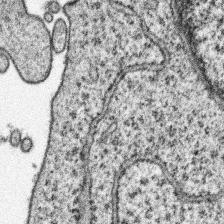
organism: Human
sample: HeLa cells